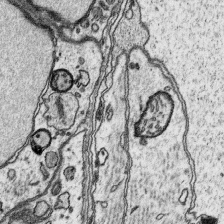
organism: Platynereis dumerilii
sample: Parapodia